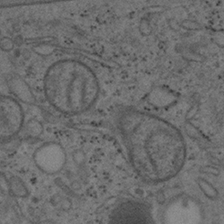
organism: Human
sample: HeLa cells